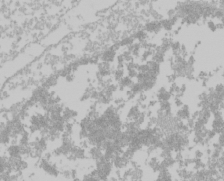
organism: Mouse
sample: Cancer cell death in ED-1 cells